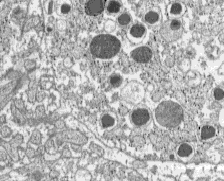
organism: C57BL Mouse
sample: Pancreatic islet